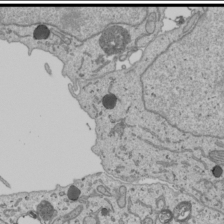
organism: Human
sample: Mitochondria in U2OS cells